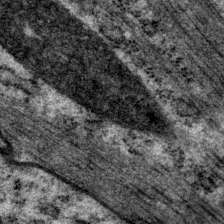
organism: P. pacificus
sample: Pharynx